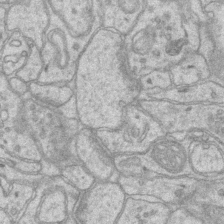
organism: Mouse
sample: CA1 Hippocampus